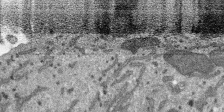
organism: Human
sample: Lung epithelial cells infected with SARS-CoV-2